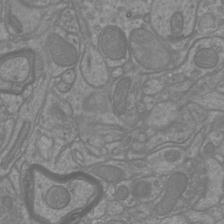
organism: Mouse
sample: Cortical neurons